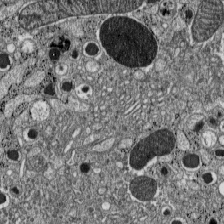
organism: C57BL Mouse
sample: Pancreatic islet